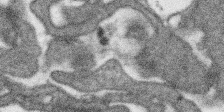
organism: Human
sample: Lung epithelial cells infected with SARS-CoV-2